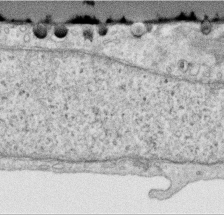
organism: Human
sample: Centriole in RPE cells